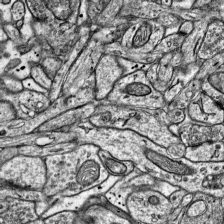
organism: Mouse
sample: Visual Cortex